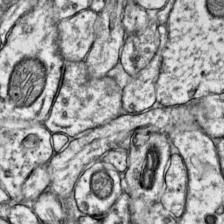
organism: Mouse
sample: Primary visual cortex